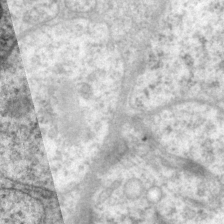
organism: P. pacificus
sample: Pharynx